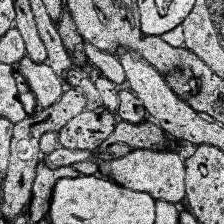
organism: Human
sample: Temporal Lobe